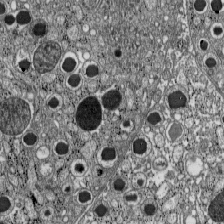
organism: C57BL Mouse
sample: Pancreatic islet